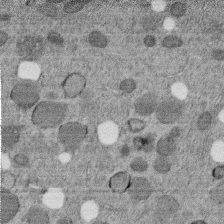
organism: C. elegans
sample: C. elegans embryo early stage